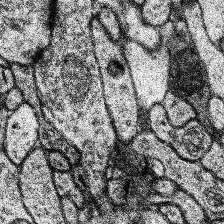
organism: Human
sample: Temporal Lobe